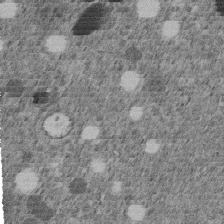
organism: C. elegans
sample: C. elegans embryo early stage